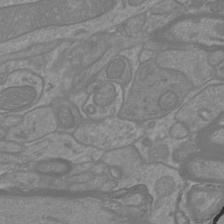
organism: Mouse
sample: Cortical neurons